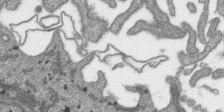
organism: Human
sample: Lung epithelial cells infected with SARS-CoV-2